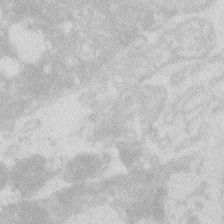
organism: Zebrafish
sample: Macrophage